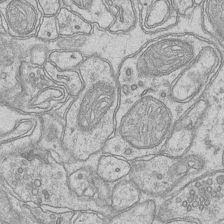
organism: Mouse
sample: CA1 Hippocampus